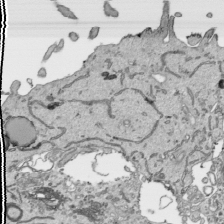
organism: Human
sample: Mitochondria in HCT116 cells